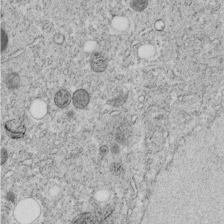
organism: C. elegans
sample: C. elegans embryo early stage